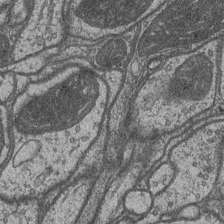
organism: Drosophila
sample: Optic medulla